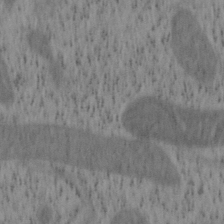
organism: Mouse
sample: OT-I killer T cells with ID8 ovarian cancer cells